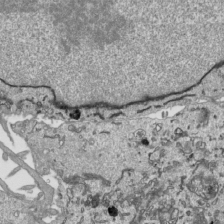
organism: Human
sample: Mitochondria in HCT116 cells